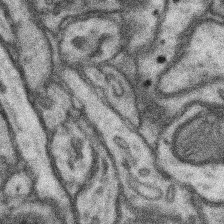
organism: Mouse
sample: Somatosensory cortex neuropil